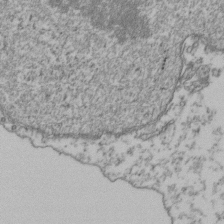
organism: Human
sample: Activated Jurkat CD4+ T cells